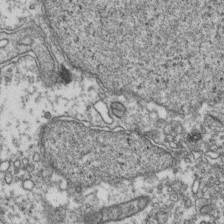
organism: Human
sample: Activated Jurkat CD4+ T cells